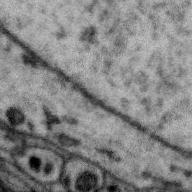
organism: Zebra finch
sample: Brain